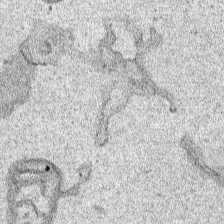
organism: Human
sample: Mitochondria in HCT116 cells